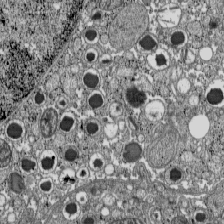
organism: C57BL Mouse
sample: Pancreatic islet